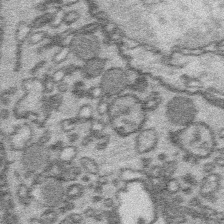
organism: Platynereis dumerilii